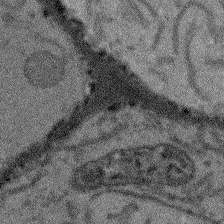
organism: Arabidopsis thaliana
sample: Root tip